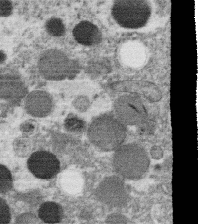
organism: C. elegans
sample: C. elegans oocyte; sperm cells